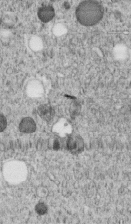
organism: C. elegans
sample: C. elegans embryo early stage